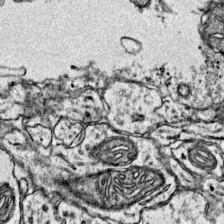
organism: Mouse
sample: Primary visual cortex